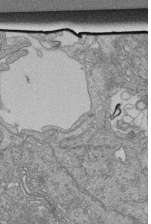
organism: Human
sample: Retinal organoid Rod and Cone cells